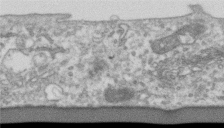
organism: Human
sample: Centriole in RPE cells